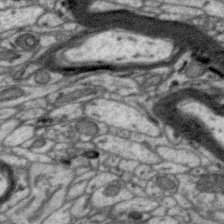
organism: Zebra finch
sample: Brain